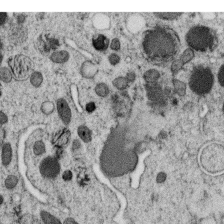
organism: C. elegans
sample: C. elegans oocyte; sperm cells